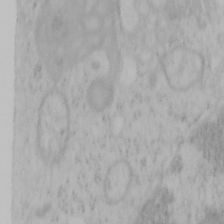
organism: Mouse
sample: OT-I killer T cells with ID8 ovarian cancer cells